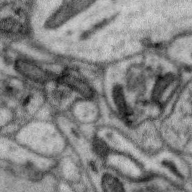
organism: Zebra finch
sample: Brain